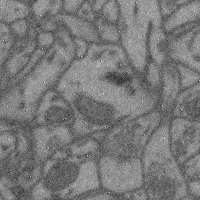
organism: Mouse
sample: Cerebral cortex